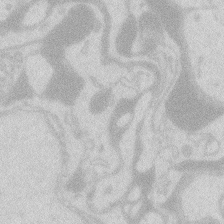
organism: Zebrafish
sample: Macrophage